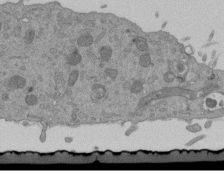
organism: Mouse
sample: ED-1 cell nuclei; centrioles